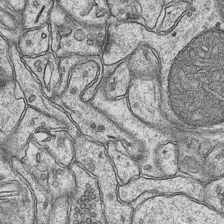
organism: Mouse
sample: CA1 Hippocampus